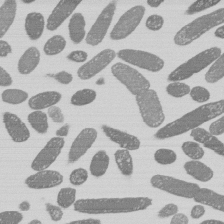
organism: E. coli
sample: Bacterial nucleoid